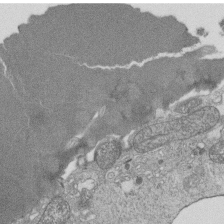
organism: Tetrahymena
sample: Cilia in tetrahymena